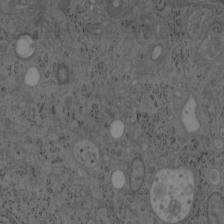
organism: Mouse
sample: OT-I killer T cells with ID8 ovarian cancer cells